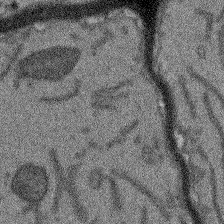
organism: Arabidopsis thaliana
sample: Root tip